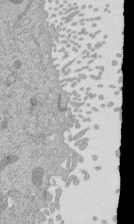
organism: Mouse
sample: ED-1 cell nuclei; centrioles